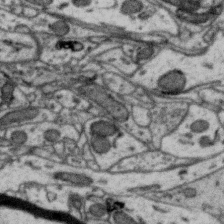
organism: Zebra finch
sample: Brain